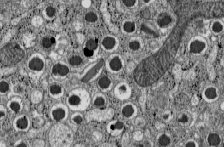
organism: C57BL Mouse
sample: Pancreatic islet